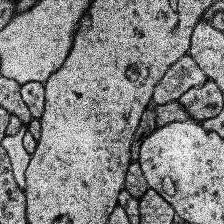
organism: Human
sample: Temporal Lobe